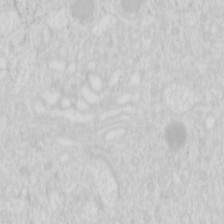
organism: Mouse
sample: Pancreas